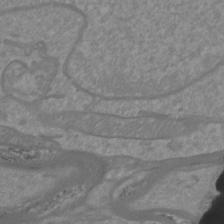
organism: Mouse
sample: Cortical neurons